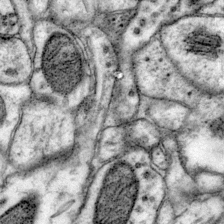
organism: Mouse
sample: Primary visual cortex